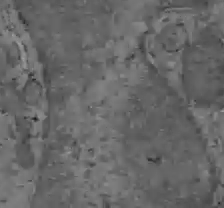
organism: C57BL Mouse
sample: Liver